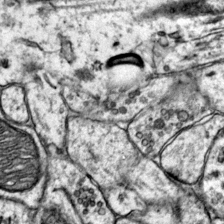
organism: Mouse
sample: Primary visual cortex